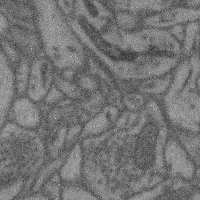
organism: Mouse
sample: Cerebral cortex